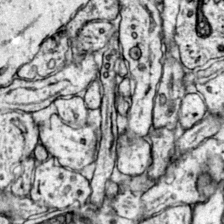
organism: Mouse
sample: Primary visual cortex